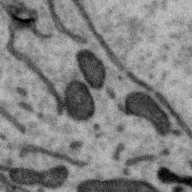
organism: Zebra finch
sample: Brain